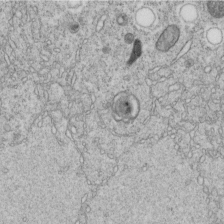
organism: C. elegans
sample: C. elegans embryo early stage